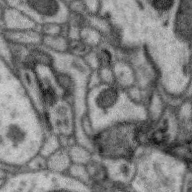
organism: Zebra finch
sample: Brain